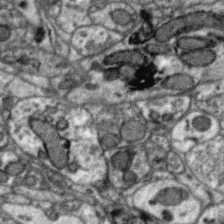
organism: Zebra finch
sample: Brain